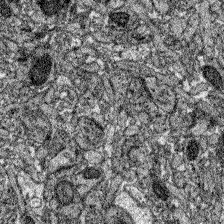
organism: Zebrafish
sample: Larval olfactory bulb